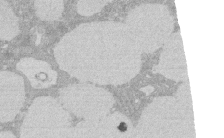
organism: Rat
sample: Salivary granule